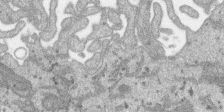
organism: Human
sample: Lung epithelial cells infected with SARS-CoV-2